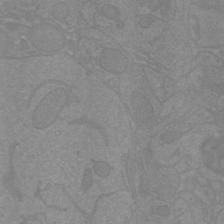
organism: Mouse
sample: Cortical neurons